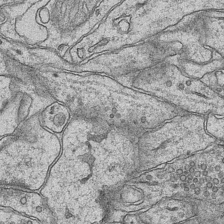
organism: Mouse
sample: CA1 Hippocampus